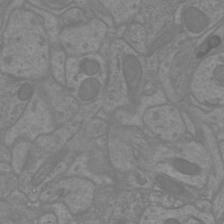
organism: Mouse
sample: Cortical neurons